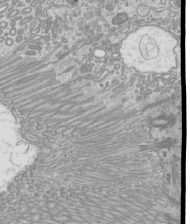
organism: Mouse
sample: Cilia; mouse epididymis